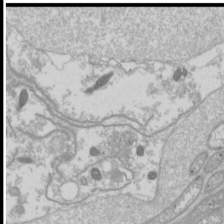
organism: Drosophila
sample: Cell division; meiosis; drosophila spermatocytes